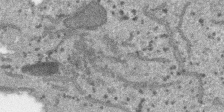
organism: Human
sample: Lung epithelial cells infected with SARS-CoV-2